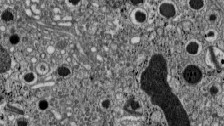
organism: C57BL Mouse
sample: Pancreatic islet